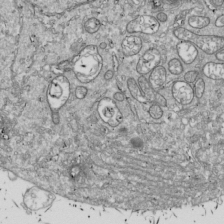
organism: Drosophila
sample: Cell division; meiosis; drosophila spermatocytes